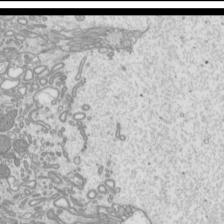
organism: Mouse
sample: Cilia; mouse epididymis